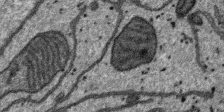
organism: Human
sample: Lung epithelial cells, uninfected (mock) control